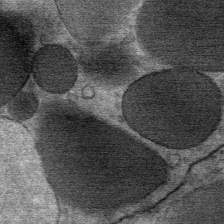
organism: Mouse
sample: Mouse Salivary gland